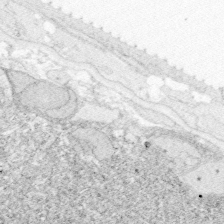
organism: Zebrafish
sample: Whole-Brain